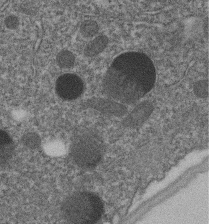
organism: C. elegans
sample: C. elegans embryo early stage